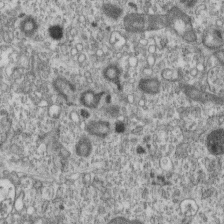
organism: Mouse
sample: Centriole in ependymal cells